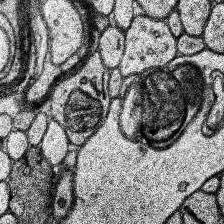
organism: Human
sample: Temporal Lobe